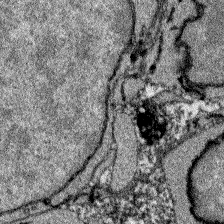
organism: Zebrafish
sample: Larval olfactory bulb